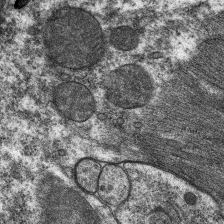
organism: C. elegans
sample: Pharynx